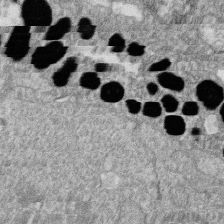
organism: Zebrafish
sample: Cilia; retinal pigment epithelium